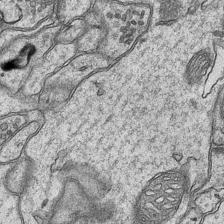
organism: Mouse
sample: CA1 Hippocampus